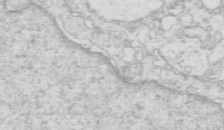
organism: Mouse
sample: Multiciliated cells